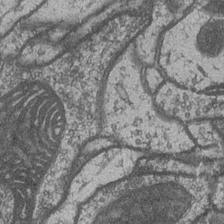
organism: Drosophila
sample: Optic medulla